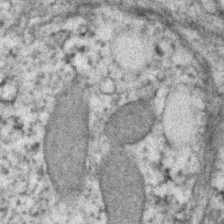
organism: Human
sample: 1205lu cells